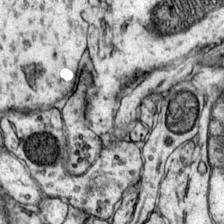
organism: Mouse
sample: Primary visual cortex